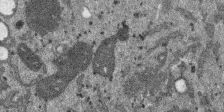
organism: Human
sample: Lung epithelial cells infected with SARS-CoV-2